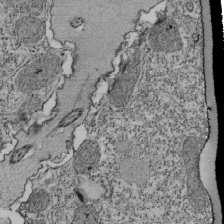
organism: Tetrahymena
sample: Cilia in tetrahymena